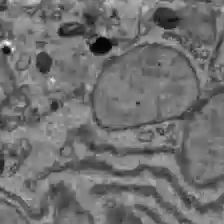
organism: C57BL Mouse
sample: Liver